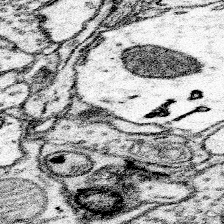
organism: Mouse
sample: Somatosensory cortex neuropil